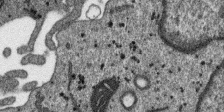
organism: Human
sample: Lung epithelial cells infected with SARS-CoV-2